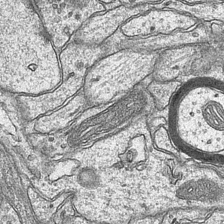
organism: Mouse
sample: CA1 Hippocampus